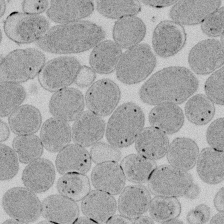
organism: E. coli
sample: Bacterial nucleoid